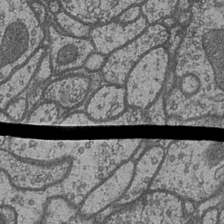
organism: Drosophila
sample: Optic medulla